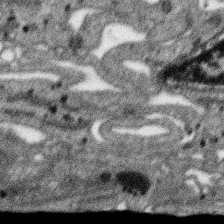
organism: Human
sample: Lung epithelial cells infected with SARS-CoV-2